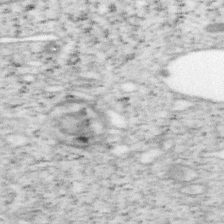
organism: Mouse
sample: OT-I killer T cells with ID8 ovarian cancer cells